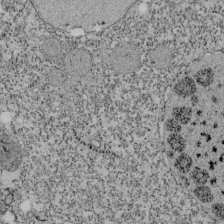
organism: Tetrahymena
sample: Cilia in tetrahymena